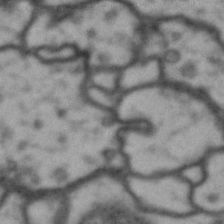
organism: Drosophila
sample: Brain